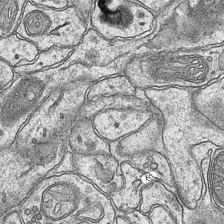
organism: Mouse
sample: CA1 Hippocampus